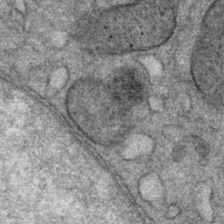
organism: Mouse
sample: Mouse Salivary gland